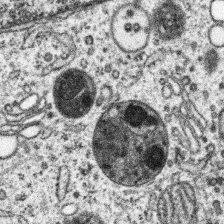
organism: Human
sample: HeLa cells